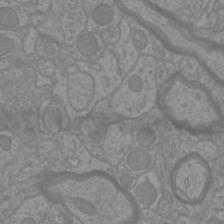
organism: Mouse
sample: Cortical neurons